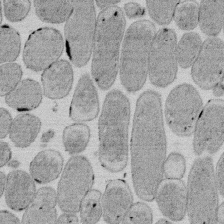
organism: E. coli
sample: Bacterial nucleoid